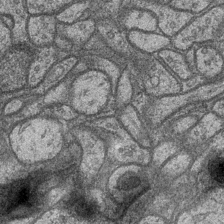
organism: Drosophila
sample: Optic medulla